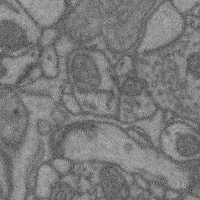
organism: Mouse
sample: Cerebral cortex